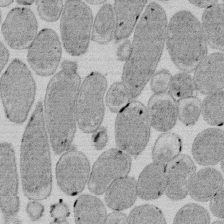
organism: E. coli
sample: Bacterial nucleoid